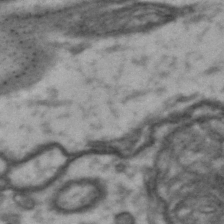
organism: Drosophila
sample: Brain